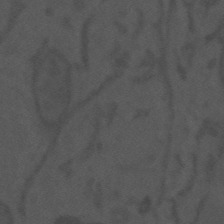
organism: Mouse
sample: Suprachiasmatic nucleus